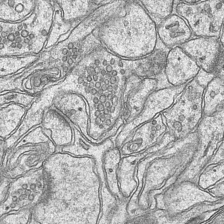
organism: Mouse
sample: CA1 Hippocampus